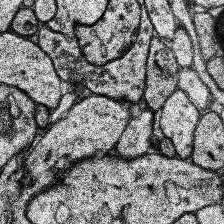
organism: Human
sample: Temporal Lobe